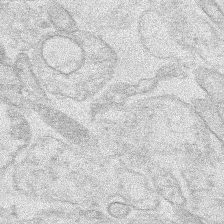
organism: Human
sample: Mitochondria in HCT116 cells